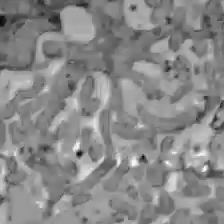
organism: C57BL Mouse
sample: Liver